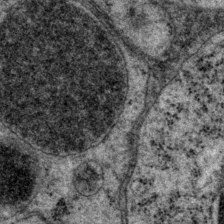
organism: P. pacificus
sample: Pharynx